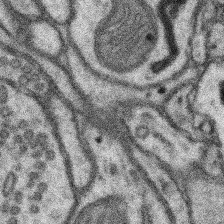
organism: Mouse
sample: Somatosensory cortex neuropil